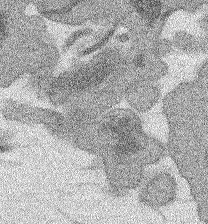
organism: Human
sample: HeLa cells